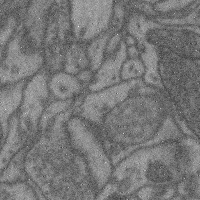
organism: Mouse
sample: Cerebral cortex